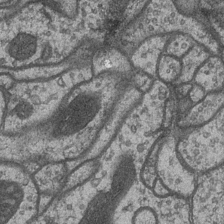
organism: Drosophila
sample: Optic medulla